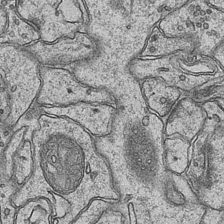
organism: Mouse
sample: CA1 Hippocampus